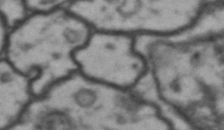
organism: Drosophila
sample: Brain